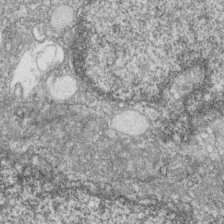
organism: Zebrafish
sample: Cilia; retinal pigment epithelium